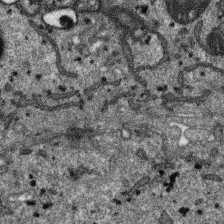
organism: Human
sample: Lung epithelial cells infected with SARS-CoV-2